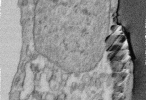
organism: Human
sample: Centriole in fibroblast cells